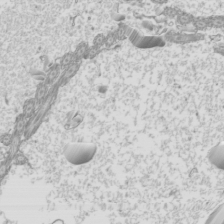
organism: Mouse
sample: Cilia; mouse epididymis